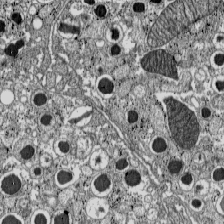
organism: C57BL Mouse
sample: Pancreatic islet